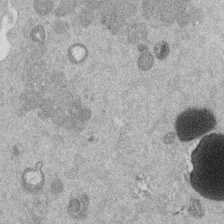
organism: Mouse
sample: Dividing mouse embryo 1 cell stage